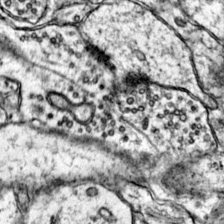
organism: Mouse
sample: Primary visual cortex